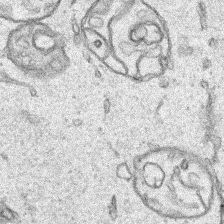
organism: Human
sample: Mitochondria in HCT116 cells